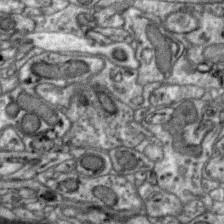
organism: Zebra finch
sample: Brain